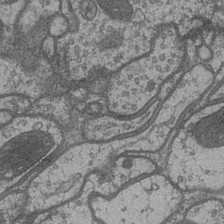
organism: Drosophila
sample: Optic medulla